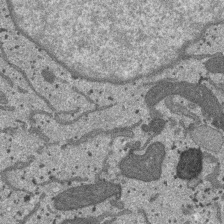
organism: Human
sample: Lung epithelial cells infected with SARS-CoV-2